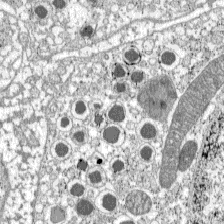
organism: C57BL Mouse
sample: Pancreatic islet